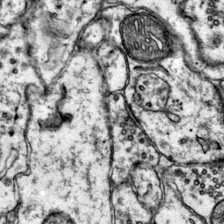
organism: Mouse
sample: Primary visual cortex